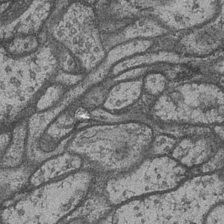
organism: Drosophila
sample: Optic medulla